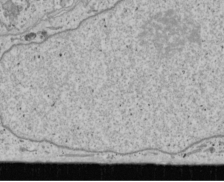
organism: Human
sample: Mitochondria in U2OS cells